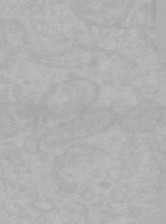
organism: Mouse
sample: Choroid plexus